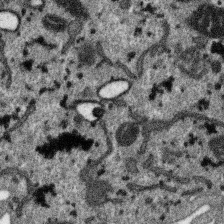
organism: Human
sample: Lung epithelial cells infected with SARS-CoV-2